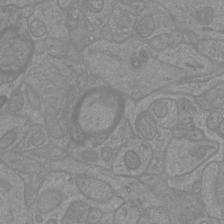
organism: Mouse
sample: Cortical neurons